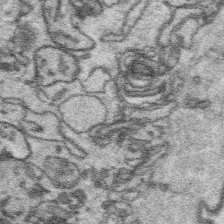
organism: Platynereis dumerilii